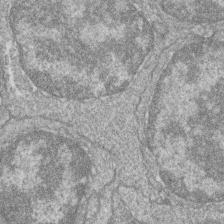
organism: Zebrafish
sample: Cilia; retinal pigment epithelium